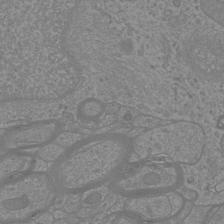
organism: Mouse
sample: Cortical neurons